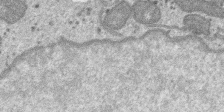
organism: Human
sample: Lung epithelial cells infected with SARS-CoV-2